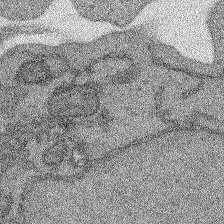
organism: Human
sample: HeLa cells